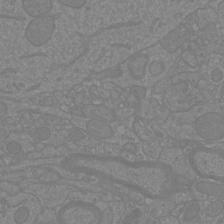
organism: Mouse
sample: Cortical neurons